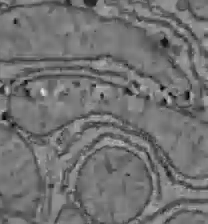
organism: C57BL Mouse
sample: Liver